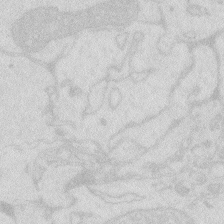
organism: Zebrafish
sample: Macrophage